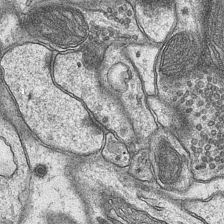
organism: Mouse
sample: CA1 Hippocampus